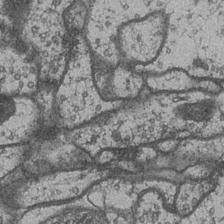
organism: Drosophila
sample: Optic medulla